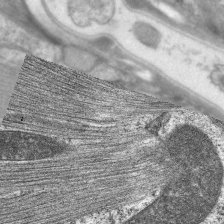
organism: C. elegans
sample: Pharynx